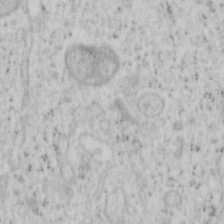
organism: Human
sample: HeLa cells